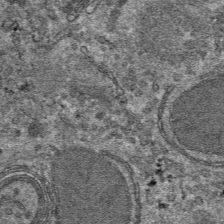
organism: Mouse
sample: Mouse hepatocytes